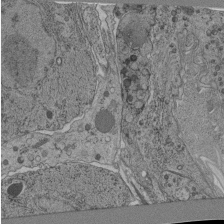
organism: C. elegans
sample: C. elegans pharynx